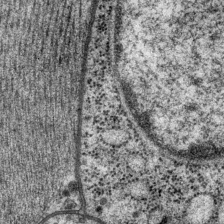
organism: P. pacificus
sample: Pharynx